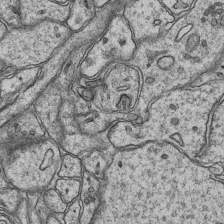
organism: Mouse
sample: CA1 Hippocampus